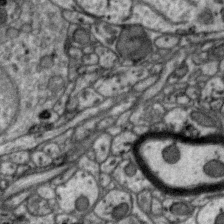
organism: Zebra finch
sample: Brain